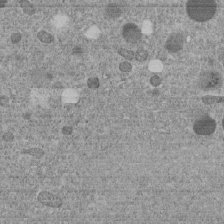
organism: C. elegans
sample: C. elegans embryo early stage